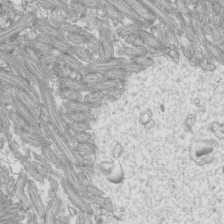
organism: Mouse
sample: Cilia; mouse epididymis